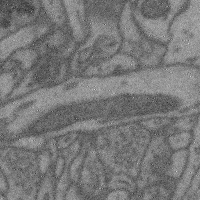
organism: Mouse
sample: Cerebral cortex